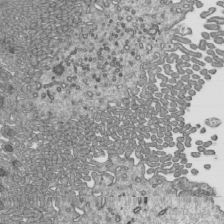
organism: Mouse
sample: Mouse epididymis efferent ductule cilia